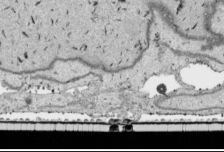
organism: Human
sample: Mitochondria in HCT116 cells